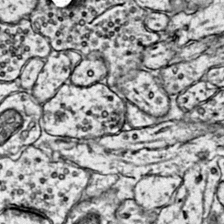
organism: Mouse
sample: Primary visual cortex